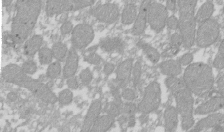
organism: Xenopus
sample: Cilia; centrioles in frog embryo cells